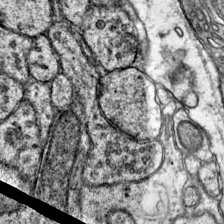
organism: Mouse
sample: Primary visual cortex